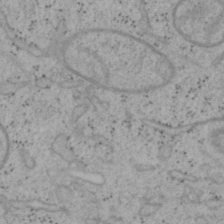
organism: Human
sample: HeLa cells